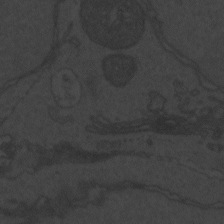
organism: Zebrafish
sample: Macrophage infected with Toxoplasma gondii